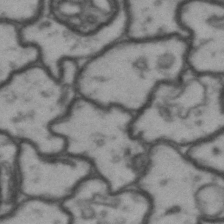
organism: Drosophila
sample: Brain